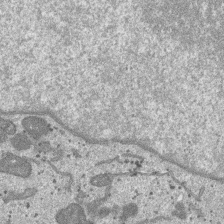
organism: Human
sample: Lung epithelial cells infected with SARS-CoV-2